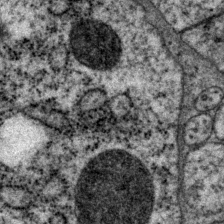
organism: P. pacificus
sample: Pharynx